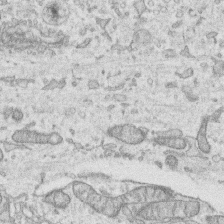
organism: Human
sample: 1205lu cells